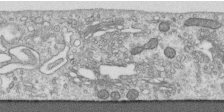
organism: Human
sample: Centriole in RPE cells